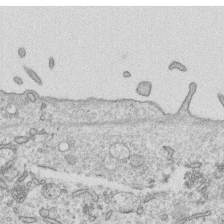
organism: Human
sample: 1205lu cells